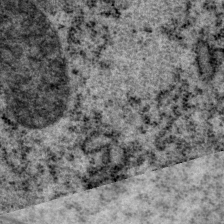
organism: P. pacificus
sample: Pharynx